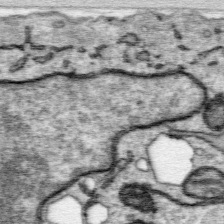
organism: Human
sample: HeLa cells